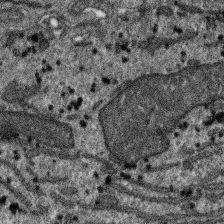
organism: Human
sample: Lung epithelial cells infected with SARS-CoV-2